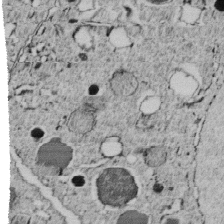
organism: C. elegans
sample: C. elegans embryo early stage